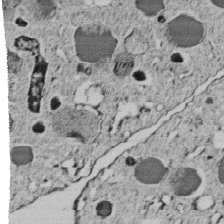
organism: C. elegans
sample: C. elegans embryo early stage